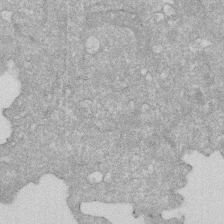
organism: Human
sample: HIV infected U937 cells